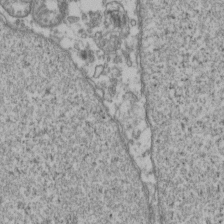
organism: Human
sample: Activated Jurkat CD4+ T cells